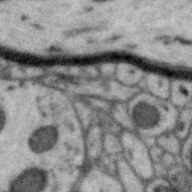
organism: Zebra finch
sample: Brain